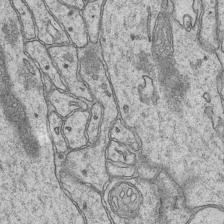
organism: Mouse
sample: CA1 Hippocampus